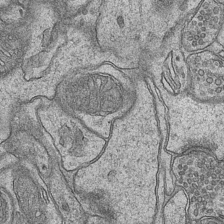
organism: Mouse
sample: CA1 Hippocampus